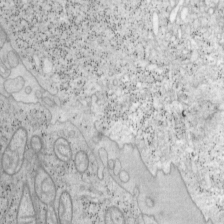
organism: Mouse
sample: OT-I killer T cells with ID8 ovarian cancer cells